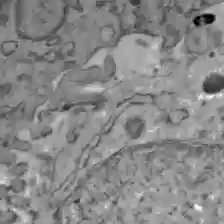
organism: C57BL Mouse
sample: Liver